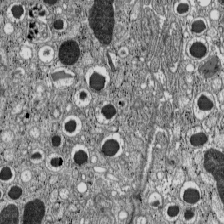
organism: C57BL Mouse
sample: Pancreatic islet